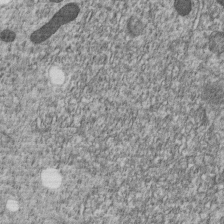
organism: C. elegans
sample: C. elegans embryo early stage